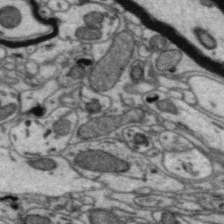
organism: Zebra finch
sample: Brain